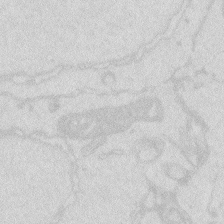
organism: Zebrafish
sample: Macrophage